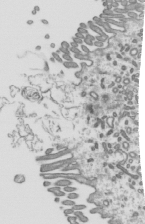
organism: Mouse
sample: Mouse epididymis efferent ductule cilia